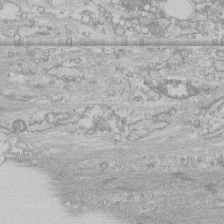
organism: Human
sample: CRL-1474